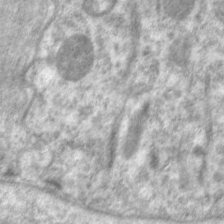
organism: C. elegans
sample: Pharynx